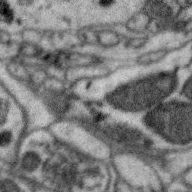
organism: Zebra finch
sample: Brain